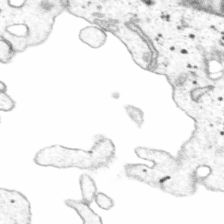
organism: Human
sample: HeLa cells